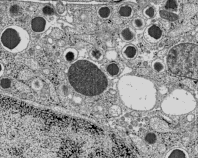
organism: C57BL Mouse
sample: Pancreatic islet